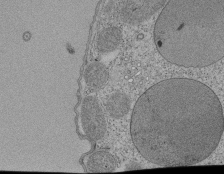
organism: Tetrahymena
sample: Cilia in tetrahymena